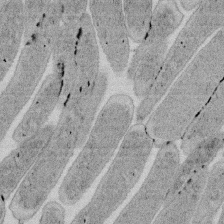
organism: E. coli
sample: Bacterial nucleoid